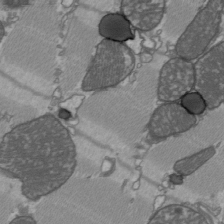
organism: C57BL Mouse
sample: Heart